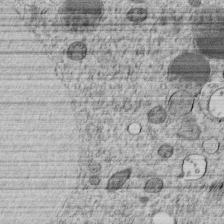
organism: C. elegans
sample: C. elegans embryo early stage